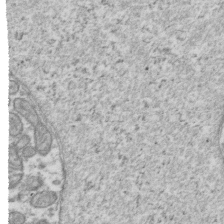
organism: Human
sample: Activated Jurkat CD4+ T cells